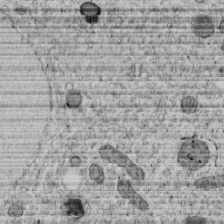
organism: C. elegans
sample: C. elegans embryo early stage